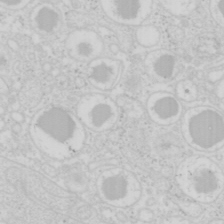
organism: Mouse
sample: Pancreas